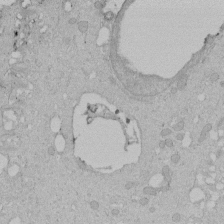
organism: Human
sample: Melanocyte Keratinocyte synapse skin construct